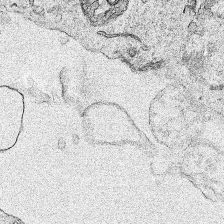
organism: Human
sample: Mitochondria in HCT116 cells